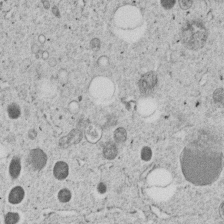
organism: C. elegans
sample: C. elegans embryo early stage